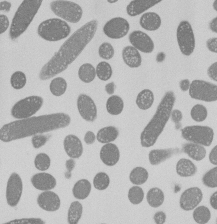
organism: E. coli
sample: Bacterial nucleoid